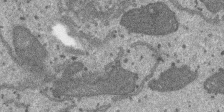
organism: Human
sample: Lung epithelial cells infected with SARS-CoV-2